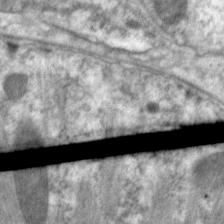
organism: C. elegans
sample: Pharynx